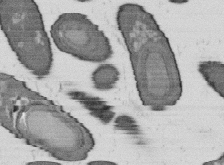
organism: B. subtilis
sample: Bacterial spore